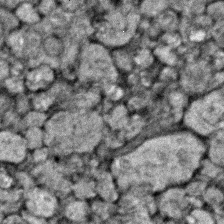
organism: Zebrafish